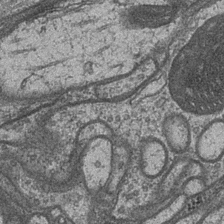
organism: Drosophila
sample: Optic medulla